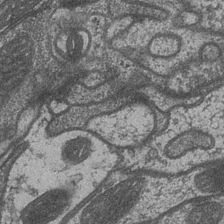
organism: Drosophila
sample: Optic medulla